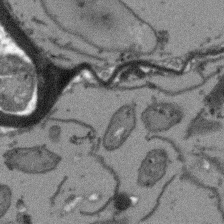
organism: Arabidopsis thaliana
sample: Root tip